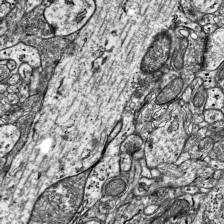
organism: Mouse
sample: Visual Cortex